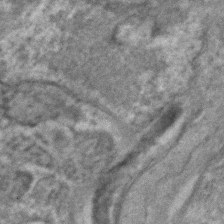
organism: C. elegans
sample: C. elegans embryo